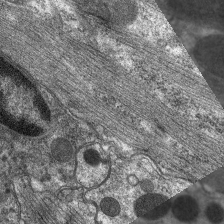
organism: C. elegans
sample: Pharynx